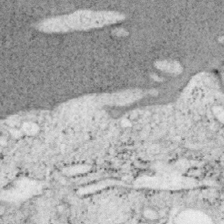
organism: Mouse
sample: OT-I killer T cells with ID8 ovarian cancer cells